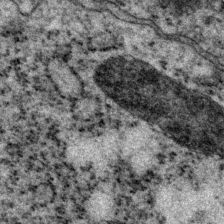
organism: P. pacificus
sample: Pharynx